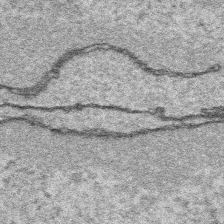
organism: Platynereis dumerilii